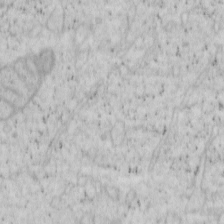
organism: Human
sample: HeLa cells